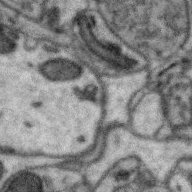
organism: Zebra finch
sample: Brain